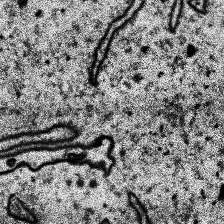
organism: Human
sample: Temporal Lobe